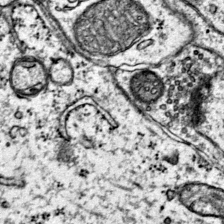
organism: Mouse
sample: Primary visual cortex